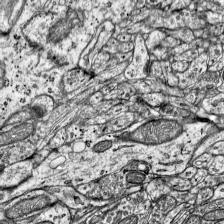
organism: Mouse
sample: Visual Cortex